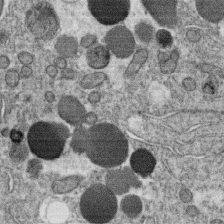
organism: C. elegans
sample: C. elegans oocyte; sperm cells